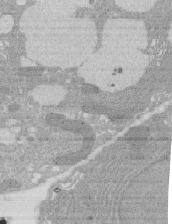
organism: Rat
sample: Salivary granule